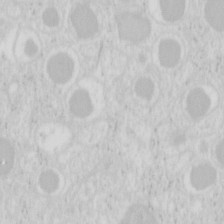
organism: Mouse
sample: Pancreas